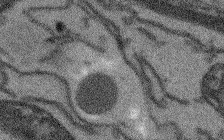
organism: Arabidopsis thaliana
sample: Root tip